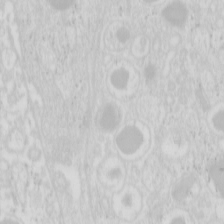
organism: Mouse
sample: Pancreas